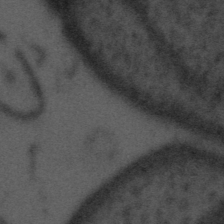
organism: Tuwongella immobilis